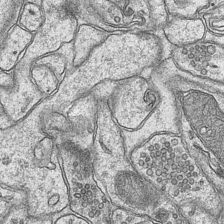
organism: Mouse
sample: CA1 Hippocampus